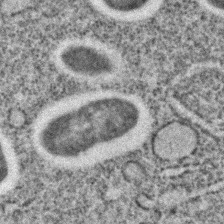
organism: C. elegans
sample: C. elegans embryo